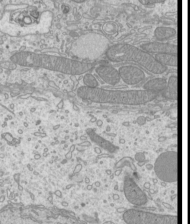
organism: Mouse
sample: Cilia; mouse epididymis